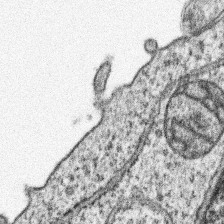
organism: Human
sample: HeLa cells